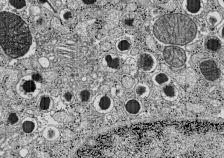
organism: C57BL Mouse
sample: Pancreatic islet